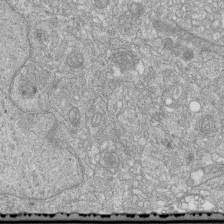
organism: Human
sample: HeLa cell HIV synapse